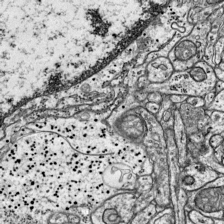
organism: Mouse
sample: Visual Cortex